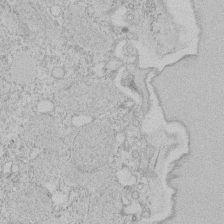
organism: Tetrahymena